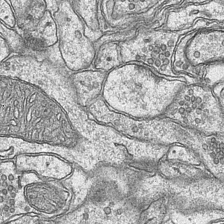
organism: Mouse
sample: CA1 Hippocampus